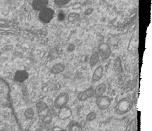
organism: Human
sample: MDA-MB-231 cells